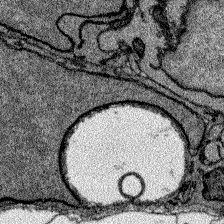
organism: Zebrafish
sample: Larval olfactory bulb